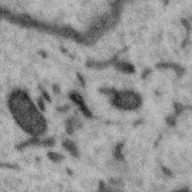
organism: Zebra finch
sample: Brain